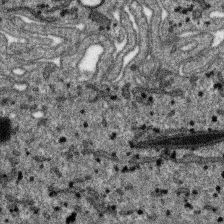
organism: Human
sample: Lung epithelial cells infected with SARS-CoV-2